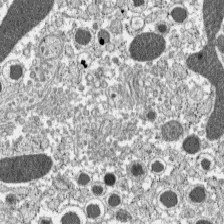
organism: C57BL Mouse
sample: Pancreatic islet